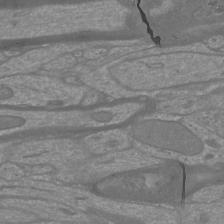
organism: Mouse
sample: Cortical neurons